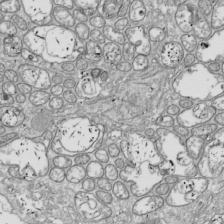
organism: Drosophila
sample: Cell division; meiosis; drosophila spermatocytes